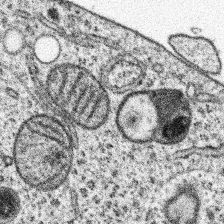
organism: Human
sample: HeLa cells